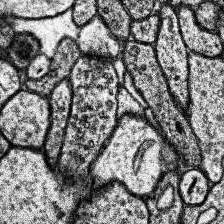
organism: Human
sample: Temporal Lobe